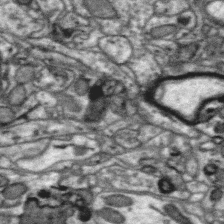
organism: Zebra finch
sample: Brain